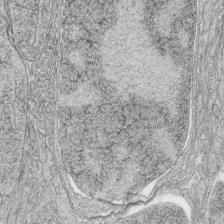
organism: Zebrafish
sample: synaptic ribbons in rod cells and cone cells